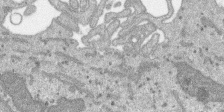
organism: Human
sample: Lung epithelial cells infected with SARS-CoV-2